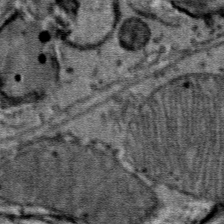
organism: Mouse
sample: Mouse Salivary gland